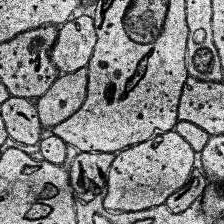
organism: Human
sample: Temporal Lobe